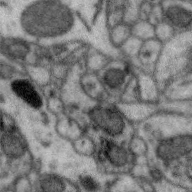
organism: Zebra finch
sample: Brain